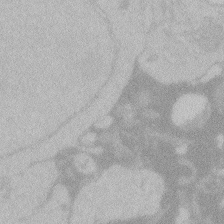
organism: Zebrafish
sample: Macrophage infected with Toxoplasma gondii